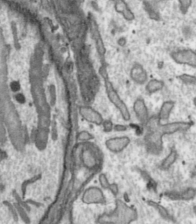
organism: Toxoplasma gondii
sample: Parasites in a vacuole inside a host cell